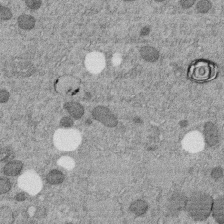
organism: C. elegans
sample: C. elegans embryo early stage